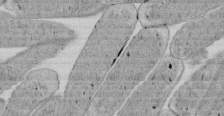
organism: E. coli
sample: Bacterial nucleoid